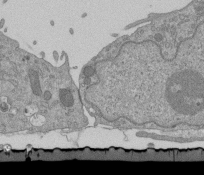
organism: Mouse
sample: ED-1 cell nuclei; centrioles